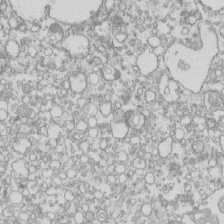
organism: Mouse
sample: Macrophages